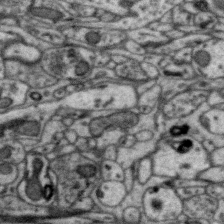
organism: Zebra finch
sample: Brain